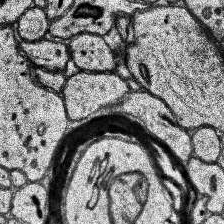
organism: Human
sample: Temporal Lobe